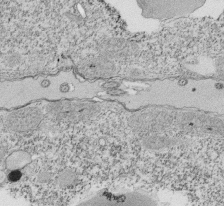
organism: Tetrahymena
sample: Cilia in tetrahymena